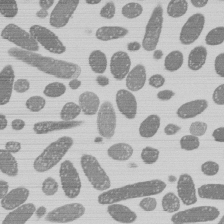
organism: E. coli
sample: Bacterial nucleoid